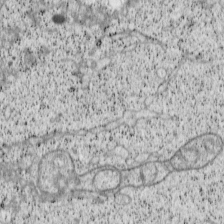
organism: African green monkey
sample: COS-7 cells